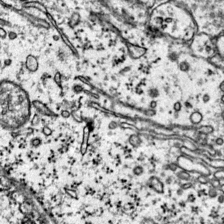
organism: Mouse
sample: Primary visual cortex